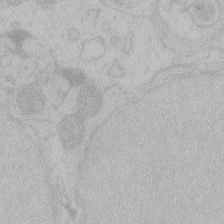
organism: Zebrafish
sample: Macrophage infected with Toxoplasma gondii